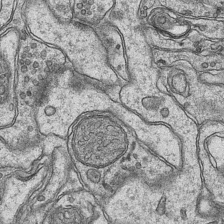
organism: Mouse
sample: CA1 Hippocampus